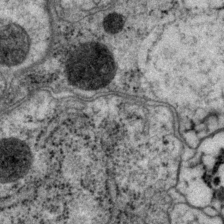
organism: P. pacificus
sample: Pharynx